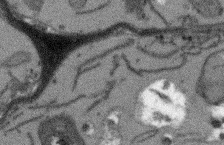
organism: Arabidopsis thaliana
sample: Root tip